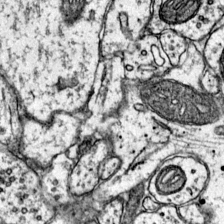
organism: Mouse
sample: Primary visual cortex